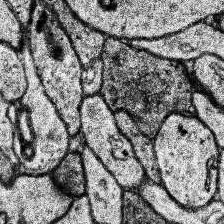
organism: Human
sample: Temporal Lobe